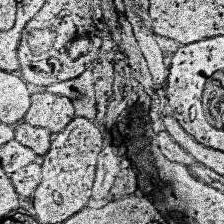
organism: Human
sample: Temporal Lobe